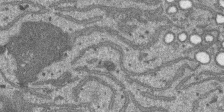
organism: Human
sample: Lung epithelial cells infected with SARS-CoV-2